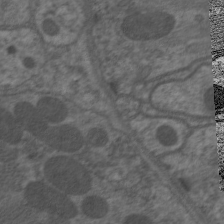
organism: C. elegans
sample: Pharynx